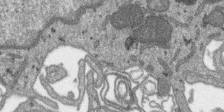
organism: Human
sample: Lung epithelial cells infected with SARS-CoV-2